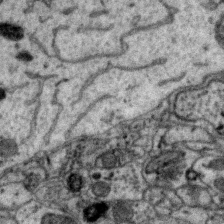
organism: Zebra finch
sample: Brain